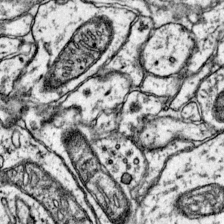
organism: Mouse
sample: Primary visual cortex